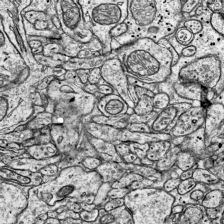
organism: Mouse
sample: Visual Cortex